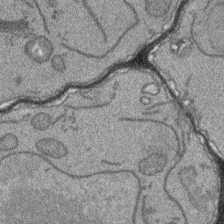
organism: Arabidopsis thaliana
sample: Root tip